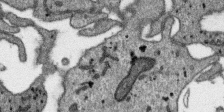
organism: Human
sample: Lung epithelial cells, uninfected (mock) control